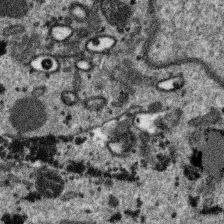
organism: Human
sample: Lung epithelial cells infected with SARS-CoV-2